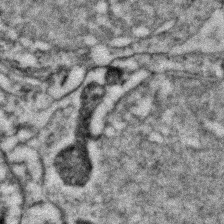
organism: Zebrafish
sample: Zebrafish embryo